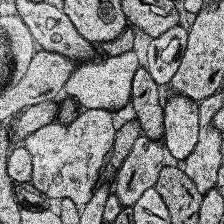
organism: Human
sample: Temporal Lobe